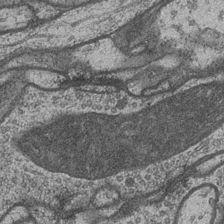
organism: Drosophila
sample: Optic medulla